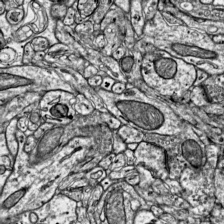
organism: Mouse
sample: Visual Cortex